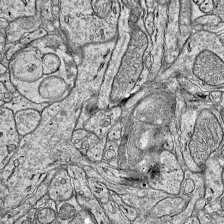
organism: Mouse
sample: Visual Cortex